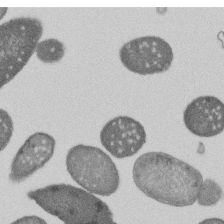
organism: E. coli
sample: Bacterial nucleoid